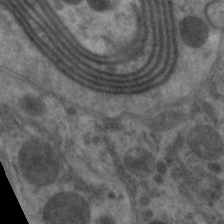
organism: C. elegans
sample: Pharynx